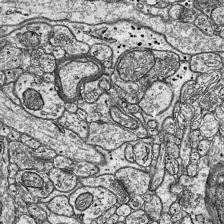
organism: Mouse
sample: Visual Cortex